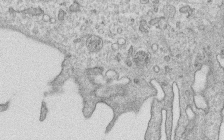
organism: Human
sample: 1205lu cells